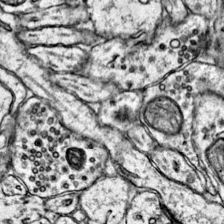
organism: Mouse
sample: Primary visual cortex